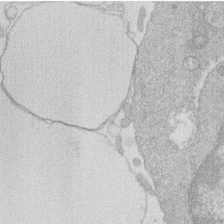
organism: Human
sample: Macrophage cells